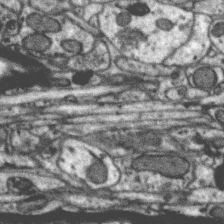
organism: Zebra finch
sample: Brain